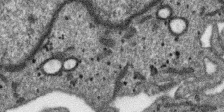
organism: Human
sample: Lung epithelial cells infected with SARS-CoV-2